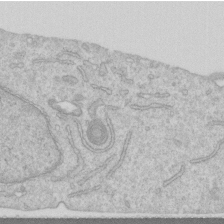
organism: Human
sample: Centriole in RPE cells